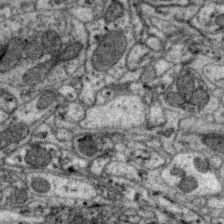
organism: Zebra finch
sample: Brain